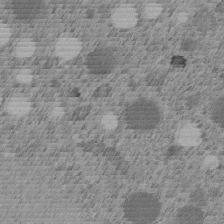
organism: C. elegans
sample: C. elegans embryo early stage